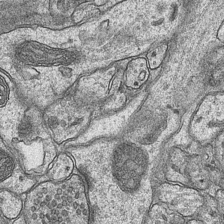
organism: Mouse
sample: CA1 Hippocampus